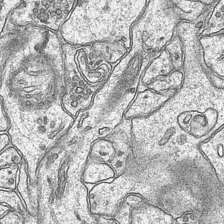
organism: Mouse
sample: CA1 Hippocampus